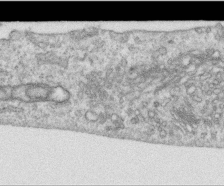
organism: Human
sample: Centriole in RPE cells